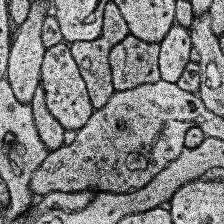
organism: Human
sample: Temporal Lobe